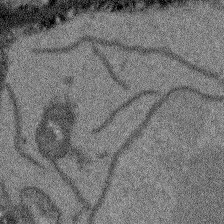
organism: Arabidopsis thaliana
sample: Root tip